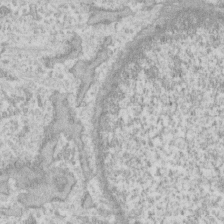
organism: Human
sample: Fibroblast cells